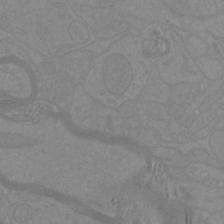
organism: Mouse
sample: Cortical neurons